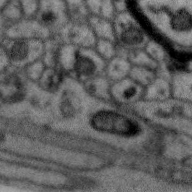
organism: Zebra finch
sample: Brain